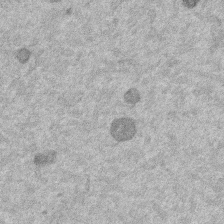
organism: Mouse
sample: Dividing mouse embryo 1 cell stage